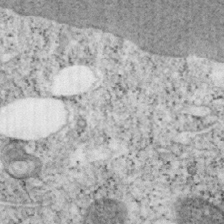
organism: Mouse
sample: OT-I killer T cells with ID8 ovarian cancer cells